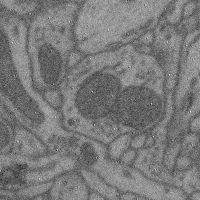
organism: Mouse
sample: Cerebral cortex